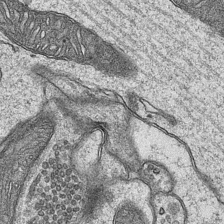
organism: Mouse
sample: CA1 Hippocampus